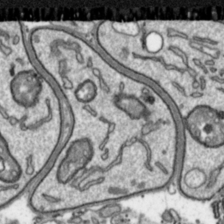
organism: Toxoplasma gondii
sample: Parasites in a vacuole inside a host cell